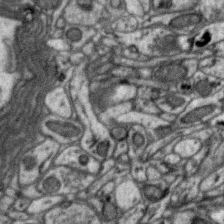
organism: Zebra finch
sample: Brain